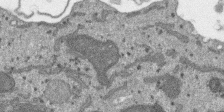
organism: Human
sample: Lung epithelial cells infected with SARS-CoV-2